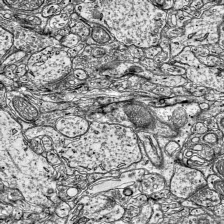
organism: Mouse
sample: Visual Cortex